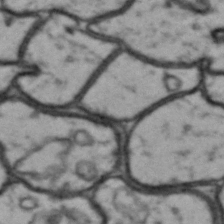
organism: Drosophila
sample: Brain